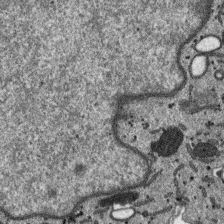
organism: Human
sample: Lung epithelial cells infected with SARS-CoV-2